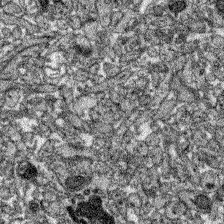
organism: Zebrafish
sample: Larval olfactory bulb